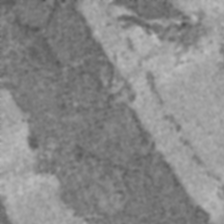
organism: C57BL Mouse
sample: Heart